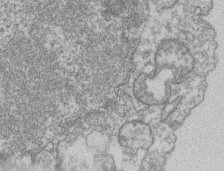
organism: Mouse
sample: T cell stromal cell synapse